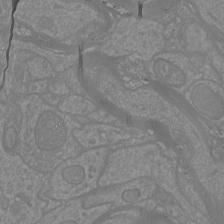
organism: Mouse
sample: Cortical neurons